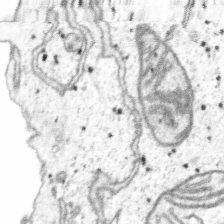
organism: Human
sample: HeLa cells